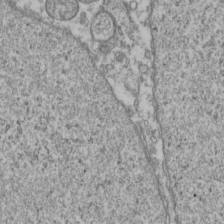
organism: Human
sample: Activated Jurkat CD4+ T cells